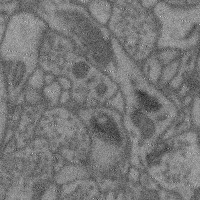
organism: Mouse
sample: Cerebral cortex